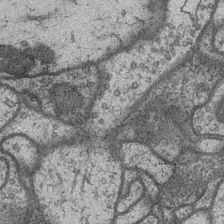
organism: Drosophila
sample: Optic medulla